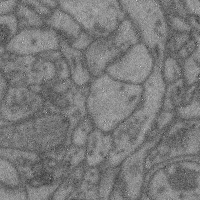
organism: Mouse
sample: Cerebral cortex